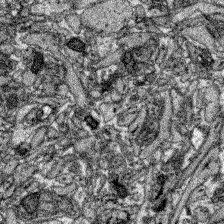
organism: Zebrafish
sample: Larval olfactory bulb